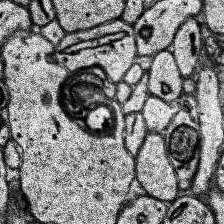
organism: Human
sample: Temporal Lobe